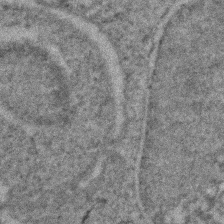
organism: Zebrafish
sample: Zebrafish embryo